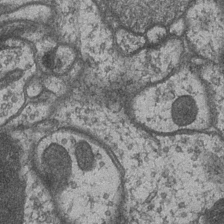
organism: Drosophila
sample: Optic medulla